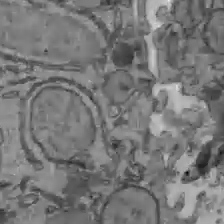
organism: C57BL Mouse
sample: Liver